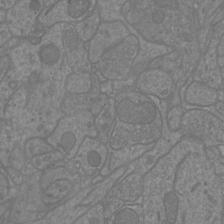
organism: Mouse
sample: Cortical neurons